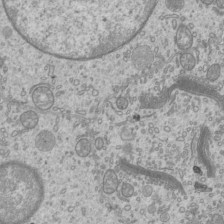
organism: Mouse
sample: Cilia; mouse epididymis